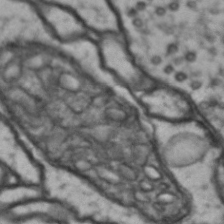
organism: Drosophila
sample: Brain